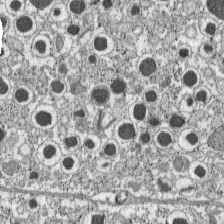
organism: C57BL Mouse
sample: Pancreatic islet